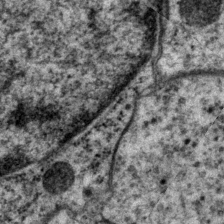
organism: P. pacificus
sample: Pharynx